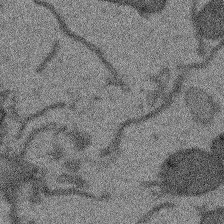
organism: Arabidopsis thaliana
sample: Root tip